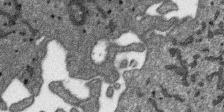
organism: Human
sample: Lung epithelial cells infected with SARS-CoV-2